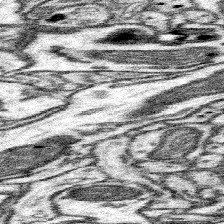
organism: Mouse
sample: Somatosensory cortex neuropil